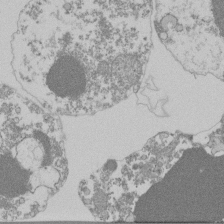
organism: Mouse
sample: Activated Pmel transgenic CD8+ T Cells